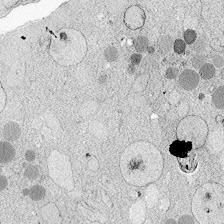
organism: Zebrafish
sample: Whole-Brain